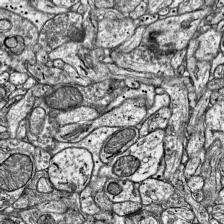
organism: Mouse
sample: Visual Cortex